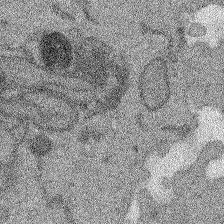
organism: Human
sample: HeLa cells